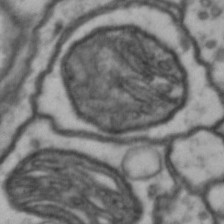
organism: Drosophila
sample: Brain